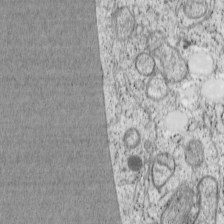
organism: African green monkey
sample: COS-7 cells